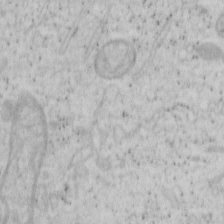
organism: Human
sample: HeLa cells